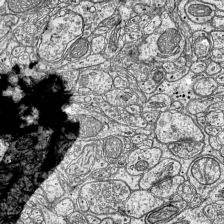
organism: Mouse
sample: Visual Cortex